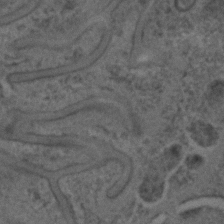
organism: C. elegans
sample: C. elegans embryo